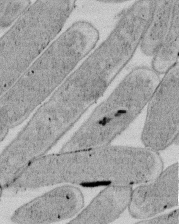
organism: E. coli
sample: Bacterial nucleoid